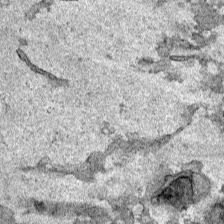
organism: Human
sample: Mitochondria in HCT116 cells